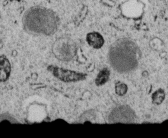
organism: C. elegans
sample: C. elegans embryo early stage